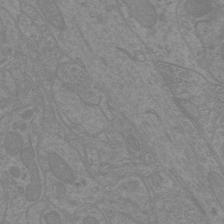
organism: Mouse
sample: Cortical neurons